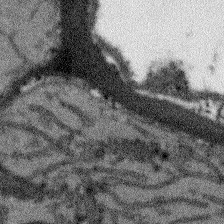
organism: Arabidopsis thaliana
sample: Root tip